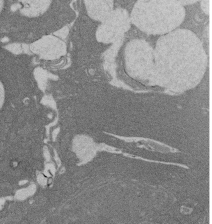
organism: Rat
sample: Salivary granule